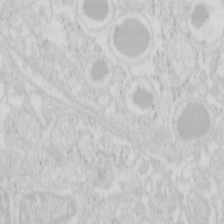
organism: Mouse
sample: Pancreas